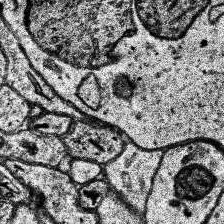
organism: Human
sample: Temporal Lobe